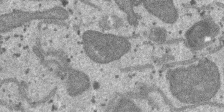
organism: Human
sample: Lung epithelial cells infected with SARS-CoV-2